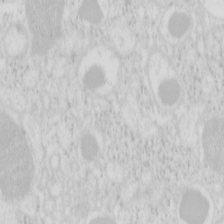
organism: Mouse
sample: Pancreas